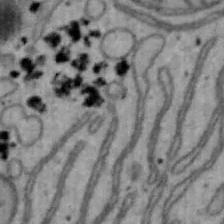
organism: Mouse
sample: Liver